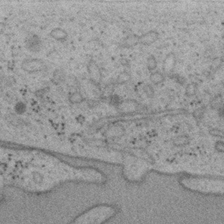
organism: Human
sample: HeLa cells